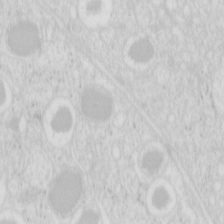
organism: Mouse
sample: Pancreas